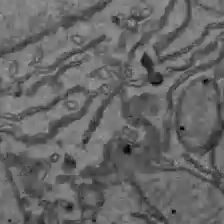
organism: C57BL Mouse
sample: Liver